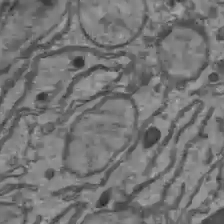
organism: C57BL Mouse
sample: Liver